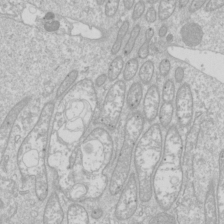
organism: Drosophila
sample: Cell division; meiosis; drosophila spermatocytes